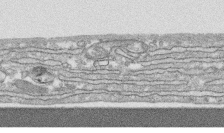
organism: Human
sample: CRL-1474